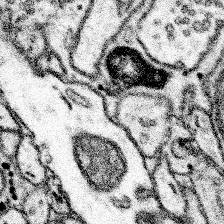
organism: Mouse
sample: Somatosensory cortex neuropil